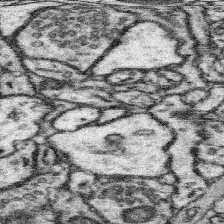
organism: Mouse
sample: Somatosensory cortex neuropil